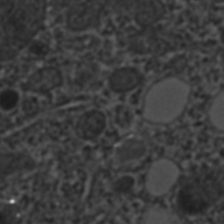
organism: C. elegans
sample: C. elegans embryo